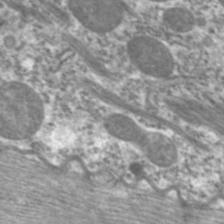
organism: C. elegans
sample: Pharynx